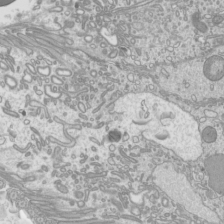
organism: Mouse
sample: Cilia; mouse epididymis